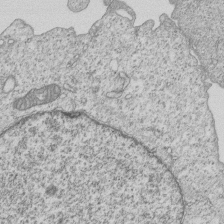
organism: Human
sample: MDA-MB-231 cells